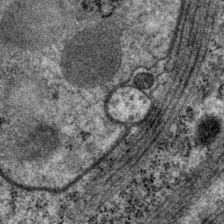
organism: P. pacificus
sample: Pharynx